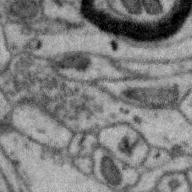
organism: Zebra finch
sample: Brain